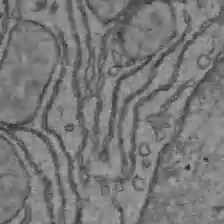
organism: C57BL Mouse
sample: Liver